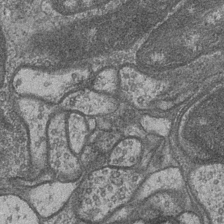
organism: Drosophila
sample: Optic medulla